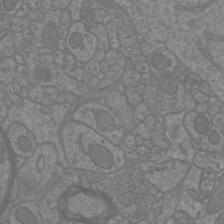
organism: Mouse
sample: Cortical neurons